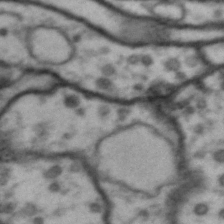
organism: Drosophila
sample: Brain